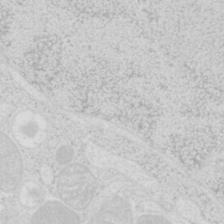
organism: Mouse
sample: Pancreas